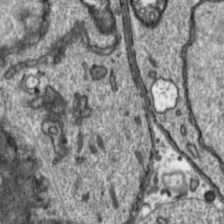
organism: Toxoplasma gondii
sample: Parasites in a vacuole inside a host cell